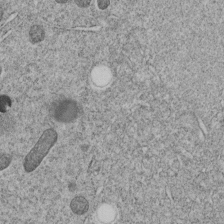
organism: C. elegans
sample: C. elegans embryo early stage